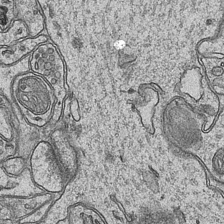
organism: Mouse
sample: CA1 Hippocampus